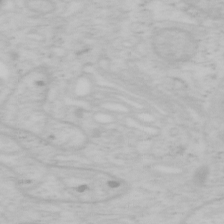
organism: Mouse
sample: OT-I killer T cells with ID8 ovarian cancer cells